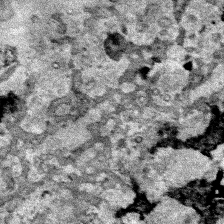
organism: Human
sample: Mitochondria in HCT116 cells